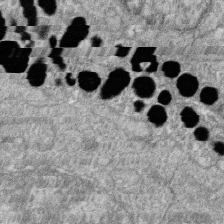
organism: Zebrafish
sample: Cilia; retinal pigment epithelium